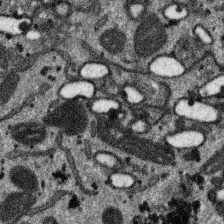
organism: Human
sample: Lung epithelial cells infected with SARS-CoV-2